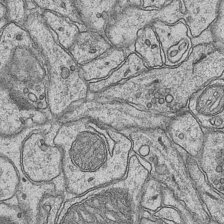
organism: Mouse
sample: CA1 Hippocampus